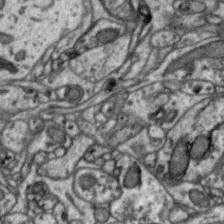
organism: Zebra finch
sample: Brain